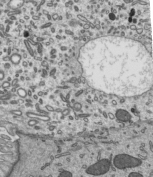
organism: Mouse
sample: Mouse epididymis efferent ductule cilia